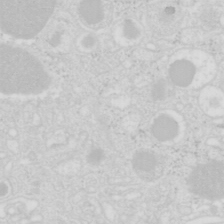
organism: Mouse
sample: Pancreas